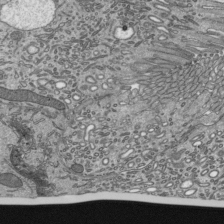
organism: Mouse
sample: Mouse epididymis efferent ductule cilia